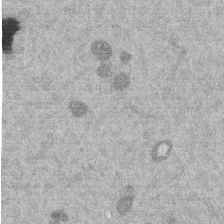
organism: Mouse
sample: Dividing mouse embryo 1 cell stage